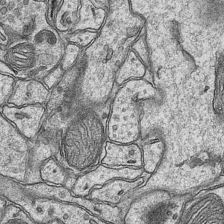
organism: Mouse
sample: CA1 Hippocampus